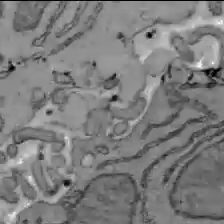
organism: C57BL Mouse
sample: Liver